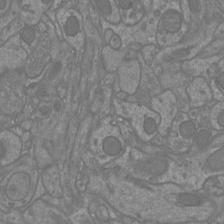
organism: Mouse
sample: Cortical neurons